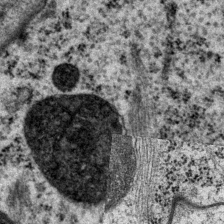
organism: P. pacificus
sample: Pharynx